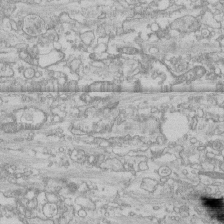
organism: Human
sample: CRL-1474